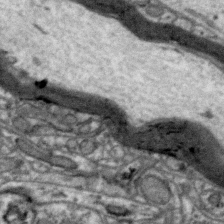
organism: Zebra finch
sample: Brain